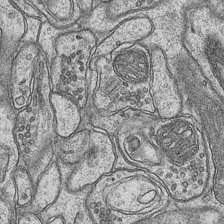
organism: Mouse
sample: CA1 Hippocampus